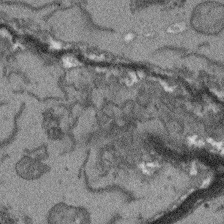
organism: Arabidopsis thaliana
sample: Root tip